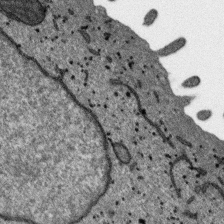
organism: Human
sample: Lung epithelial cells, uninfected (mock) control